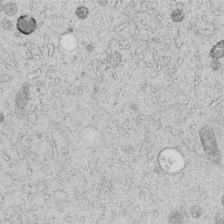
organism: C. elegans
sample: C. elegans embryo early stage